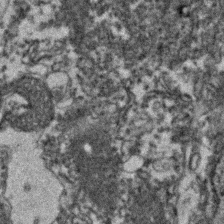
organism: Zebrafish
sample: Zebrafish embryo